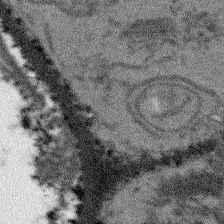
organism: Arabidopsis thaliana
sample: Root tip